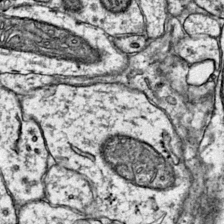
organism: Mouse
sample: Primary visual cortex